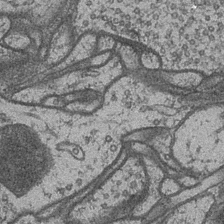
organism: Drosophila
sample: Optic medulla